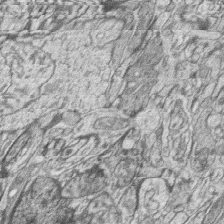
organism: Zebrafish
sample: synaptic ribbons in rod cells and cone cells